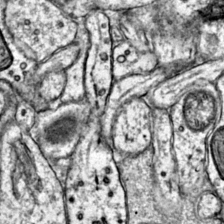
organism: Mouse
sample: Primary visual cortex